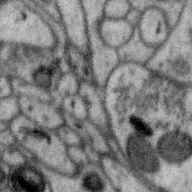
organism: Zebra finch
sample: Brain